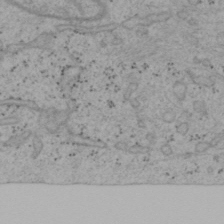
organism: Human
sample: HeLa cells